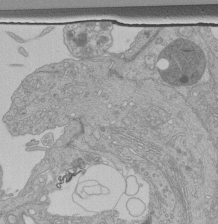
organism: Human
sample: Retinal organoid Rod and Cone cells